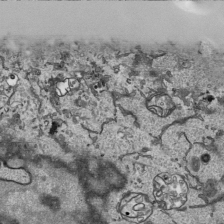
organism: Human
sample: Mitochondria in HCT116 cells